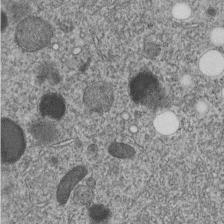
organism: C. elegans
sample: C. elegans embryo early stage